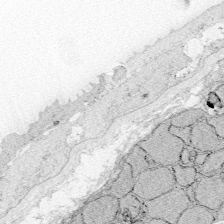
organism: Zebrafish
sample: Whole-Brain